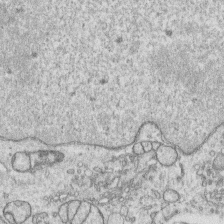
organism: Human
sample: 1205lu cells